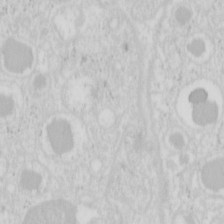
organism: Mouse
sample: Pancreas